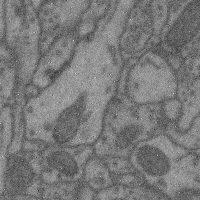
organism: Mouse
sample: Cerebral cortex